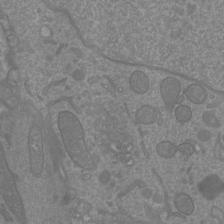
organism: Mouse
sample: Cortical neurons